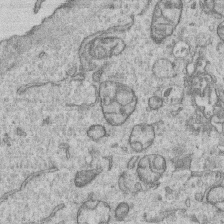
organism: Human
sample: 1205lu cells